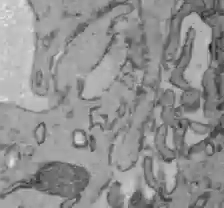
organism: C57BL Mouse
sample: Liver